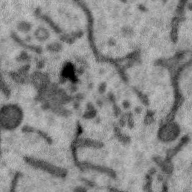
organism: Zebra finch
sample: Brain